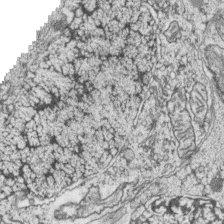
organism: Zebrafish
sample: synaptic ribbons in rod cells and cone cells